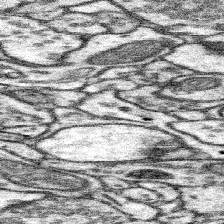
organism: Mouse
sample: Somatosensory cortex neuropil